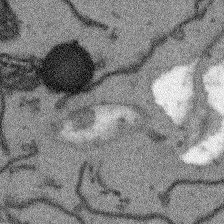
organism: Arabidopsis thaliana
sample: Root tip